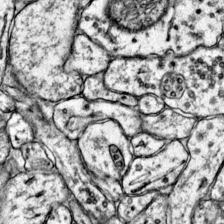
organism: Mouse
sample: Primary visual cortex